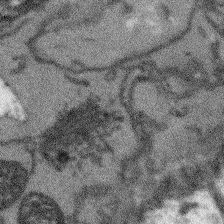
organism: Arabidopsis thaliana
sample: Root tip